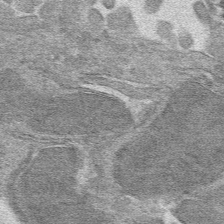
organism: Mouse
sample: Mouse hepatocytes